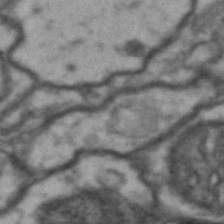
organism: Drosophila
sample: Brain